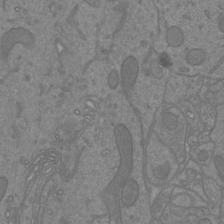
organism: Mouse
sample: Cortical neurons